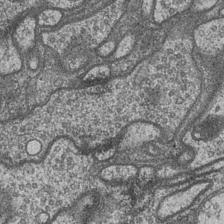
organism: Drosophila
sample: Optic medulla